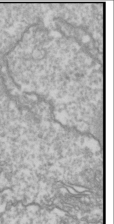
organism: Drosophila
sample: Cell division; meiosis; drosophila spermatocytes